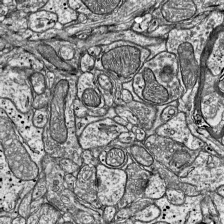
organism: Mouse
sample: Visual Cortex